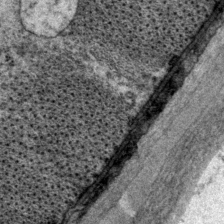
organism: P. pacificus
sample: Pharynx